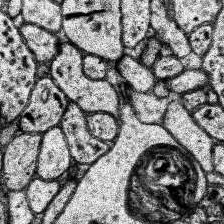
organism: Human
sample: Temporal Lobe